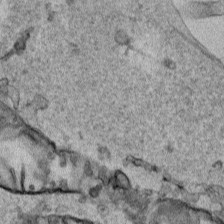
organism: Human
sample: Mitochondria in HCT116 cells